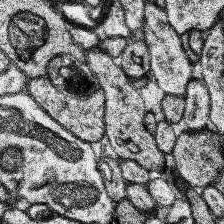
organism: Human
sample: Temporal Lobe